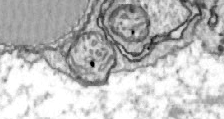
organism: Zebrafish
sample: Actinotrichia fibers